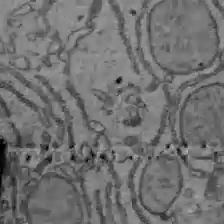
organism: C57BL Mouse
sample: Liver